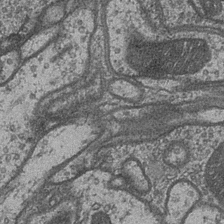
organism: Drosophila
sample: Optic medulla